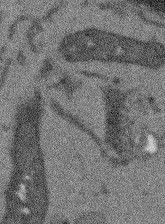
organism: Arabidopsis thaliana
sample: Root tip